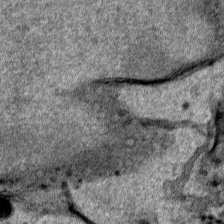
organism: Human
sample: Mitochondria in HCT116 cells